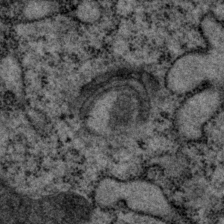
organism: P. pacificus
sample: Pharynx